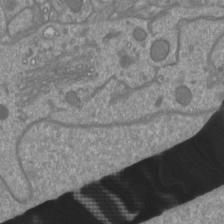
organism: Mouse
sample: Cortical neurons